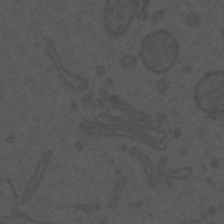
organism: Mouse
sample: Suprachiasmatic nucleus